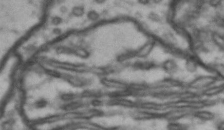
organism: Drosophila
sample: Brain